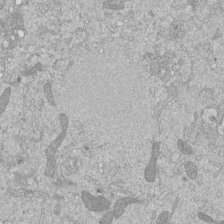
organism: Mouse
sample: ED-1 cell nuclei; centrioles